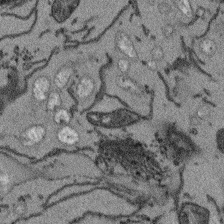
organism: Arabidopsis thaliana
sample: Root tip